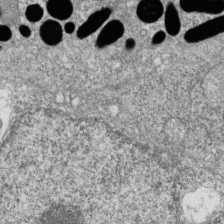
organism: Zebrafish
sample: Cilia; retinal pigment epithelium